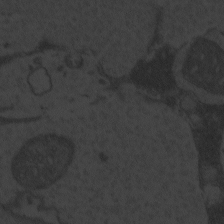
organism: Zebrafish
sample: Macrophage infected with Toxoplasma gondii